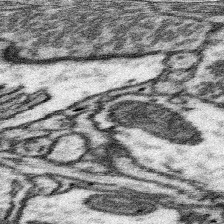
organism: Mouse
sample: Somatosensory cortex neuropil